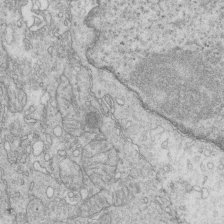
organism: Mouse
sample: Multiciliated cells